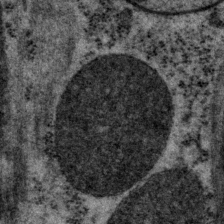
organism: P. pacificus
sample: Pharynx